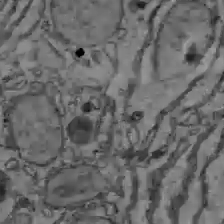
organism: C57BL Mouse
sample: Liver